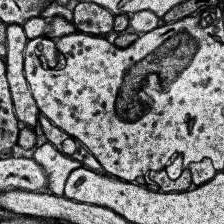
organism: Human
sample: Temporal Lobe